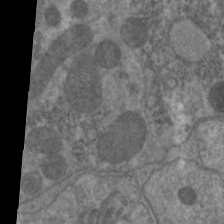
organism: C. elegans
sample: Pharynx